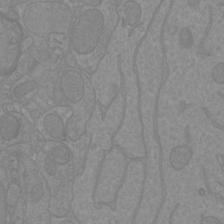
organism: Mouse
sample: Cortical neurons